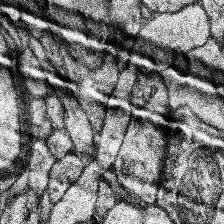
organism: Human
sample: Temporal Lobe